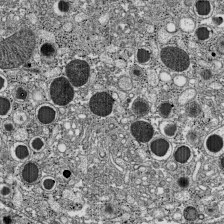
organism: C57BL Mouse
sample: Pancreatic islet